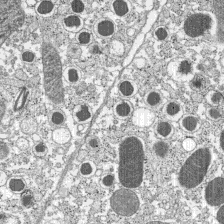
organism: C57BL Mouse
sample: Pancreatic islet